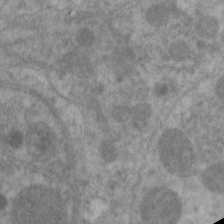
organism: C. elegans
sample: Pharynx